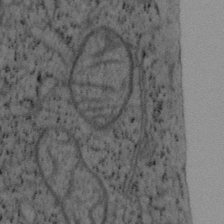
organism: Human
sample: HeLa cells